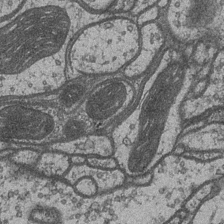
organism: Drosophila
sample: Optic medulla